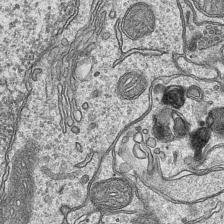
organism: Mouse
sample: CA1 Hippocampus